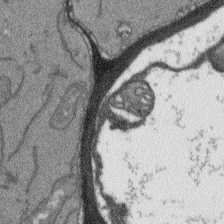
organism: Arabidopsis thaliana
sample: Root tip